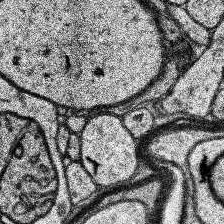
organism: Human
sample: Temporal Lobe